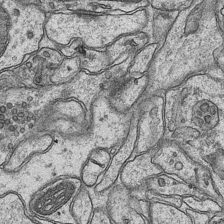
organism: Mouse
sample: CA1 Hippocampus